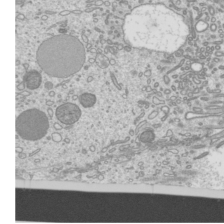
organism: Mouse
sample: Cilia; mouse epididymis